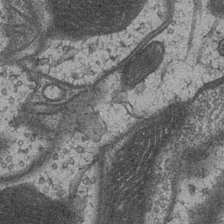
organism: Drosophila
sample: Optic medulla